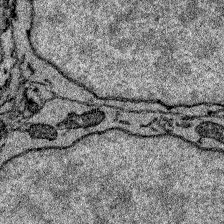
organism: Zebrafish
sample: Larval olfactory bulb